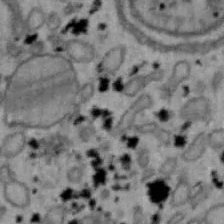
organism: Mouse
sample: Liver